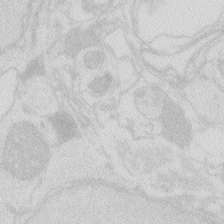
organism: Zebrafish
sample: Macrophage